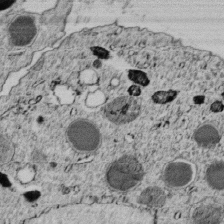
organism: C. elegans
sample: C. elegans embryo early stage